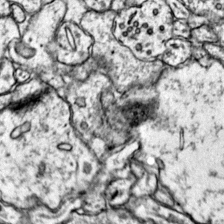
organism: Mouse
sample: Primary visual cortex